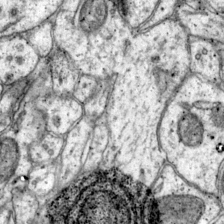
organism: Mouse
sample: Primary visual cortex